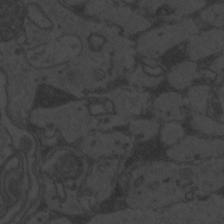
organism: Zebrafish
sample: Macrophage infected with Toxoplasma gondii